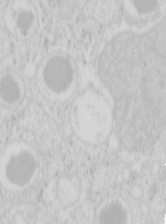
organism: Mouse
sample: Pancreas